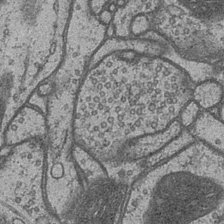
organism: Drosophila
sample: Optic medulla